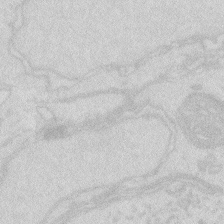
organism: Zebrafish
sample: Macrophage